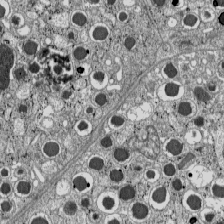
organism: C57BL Mouse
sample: Pancreatic islet